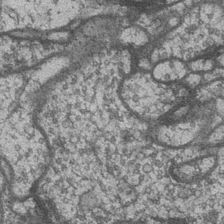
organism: Drosophila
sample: Optic medulla